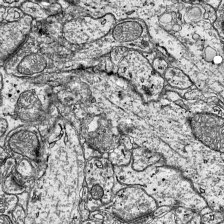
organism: Mouse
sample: Visual Cortex